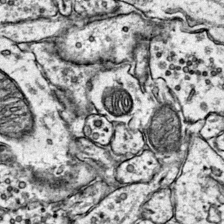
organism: Mouse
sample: Primary visual cortex